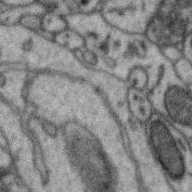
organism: Zebra finch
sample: Brain